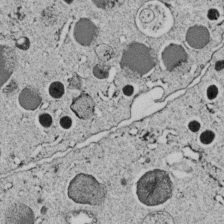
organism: C. elegans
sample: C. elegans embryo early stage